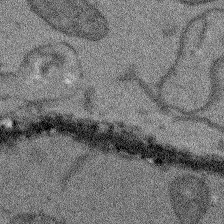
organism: Arabidopsis thaliana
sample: Root tip